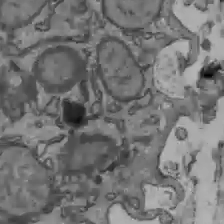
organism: C57BL Mouse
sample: Liver